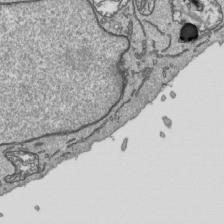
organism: Human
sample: Mitochondria in HCT116 cells